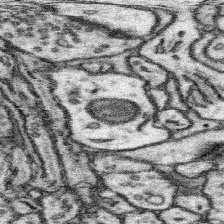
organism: Mouse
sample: Somatosensory cortex neuropil